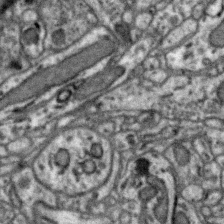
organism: Zebra finch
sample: Brain